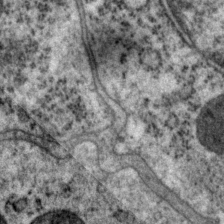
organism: P. pacificus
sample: Pharynx